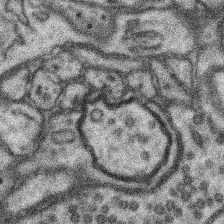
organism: Mouse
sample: Somatosensory cortex neuropil